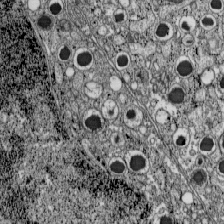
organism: C57BL Mouse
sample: Pancreatic islet